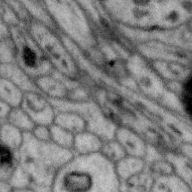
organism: Zebra finch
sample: Brain